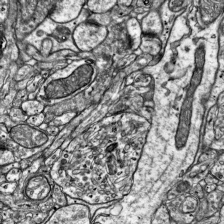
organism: Mouse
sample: Visual Cortex